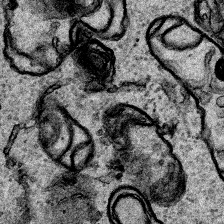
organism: Human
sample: Mitochondria in HCT116 cells